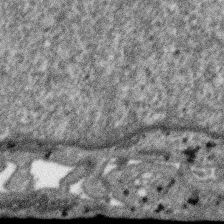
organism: Human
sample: Lung epithelial cells infected with SARS-CoV-2